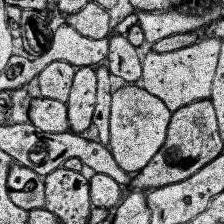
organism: Human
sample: Temporal Lobe